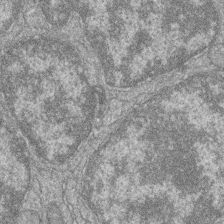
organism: Zebrafish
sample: Cilia; retinal pigment epithelium